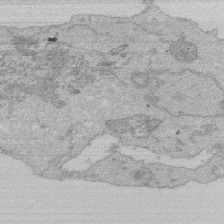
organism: Human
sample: Activated Jurkat CD4+ T cells